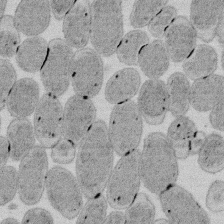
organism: E. coli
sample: Bacterial nucleoid